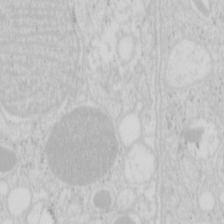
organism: Mouse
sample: Pancreas